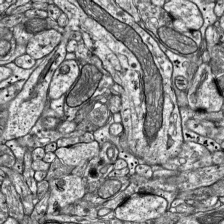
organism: Mouse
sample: Visual Cortex